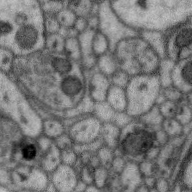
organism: Zebra finch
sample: Brain